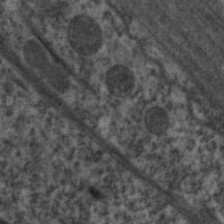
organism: C. elegans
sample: Pharynx